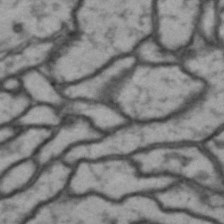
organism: Drosophila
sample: Brain